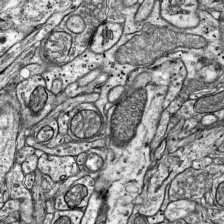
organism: Mouse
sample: Visual Cortex